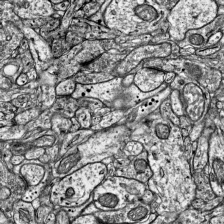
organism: Mouse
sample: Visual Cortex